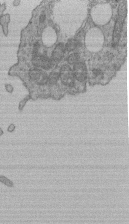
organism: Human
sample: Retinal organoid Rod and Cone cells